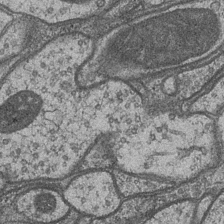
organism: Drosophila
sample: Optic medulla